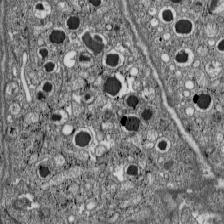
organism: C57BL Mouse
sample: Pancreatic islet